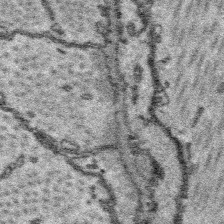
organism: Platynereis dumerilii